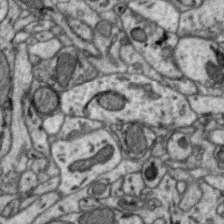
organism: Zebra finch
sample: Brain